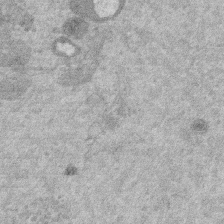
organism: Mouse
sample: Dividing mouse embryo 1 cell stage